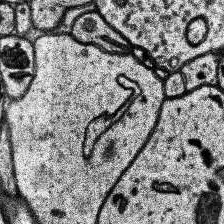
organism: Human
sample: Temporal Lobe